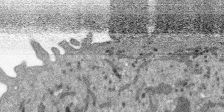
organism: Human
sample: Lung epithelial cells infected with SARS-CoV-2